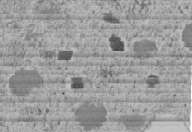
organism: C. elegans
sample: C. elegans embryo early stage